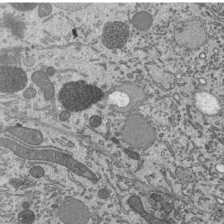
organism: Mouse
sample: Mouse epididymis efferent ductule cilia